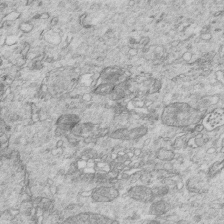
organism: Mouse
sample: Multiciliated cells